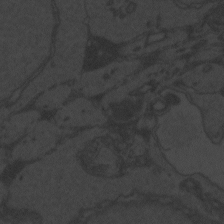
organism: Zebrafish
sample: Macrophage infected with Toxoplasma gondii